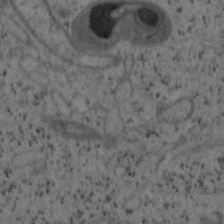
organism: Human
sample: HeLa cells